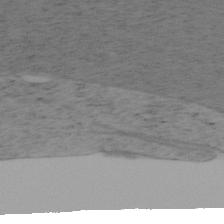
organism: Mouse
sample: OT-I killer T cells with ID8 ovarian cancer cells